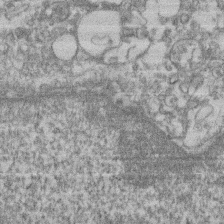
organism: Mouse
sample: T cell stromal cell synapse